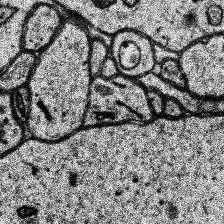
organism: Human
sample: Temporal Lobe